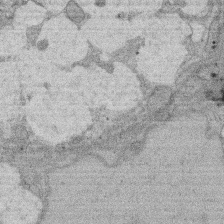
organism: Rat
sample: Salivary granule